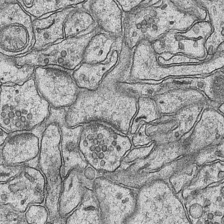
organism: Mouse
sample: CA1 Hippocampus